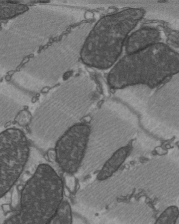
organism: C57BL Mouse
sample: Heart